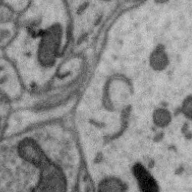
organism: Zebra finch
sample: Brain